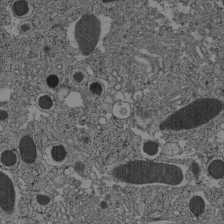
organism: C57BL Mouse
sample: Pancreatic islet